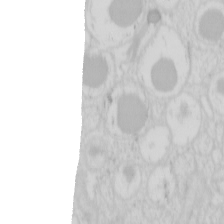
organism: Mouse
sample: Pancreas